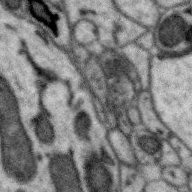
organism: Zebra finch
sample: Brain